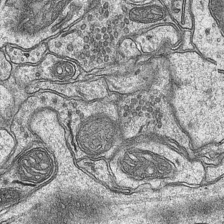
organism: Mouse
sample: CA1 Hippocampus